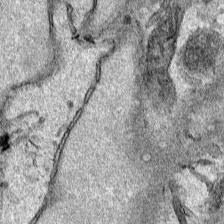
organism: Human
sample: Mitochondria in HCT116 cells